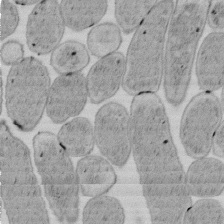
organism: E. coli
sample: Bacterial nucleoid